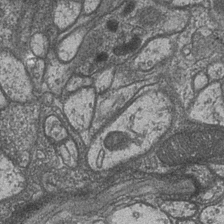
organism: Drosophila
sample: Optic medulla